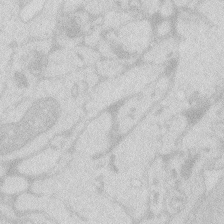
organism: Zebrafish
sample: Macrophage